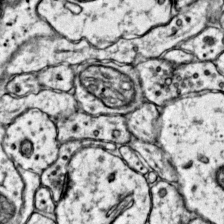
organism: Mouse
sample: Primary visual cortex